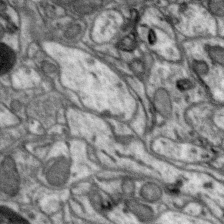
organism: Zebra finch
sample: Brain